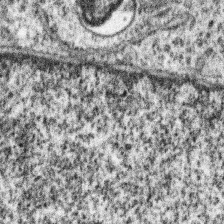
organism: Human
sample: HeLa cells